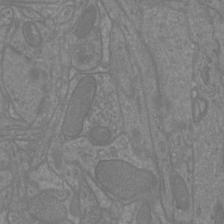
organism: Mouse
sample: Cortical neurons